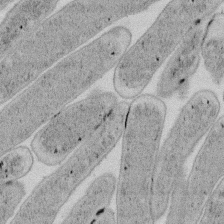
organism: E. coli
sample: Bacterial nucleoid